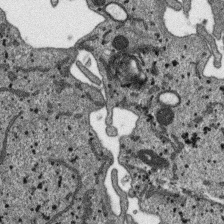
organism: Human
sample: Lung epithelial cells infected with SARS-CoV-2